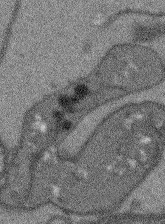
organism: Arabidopsis thaliana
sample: Root tip